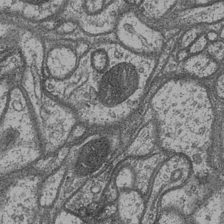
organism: Drosophila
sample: Optic medulla